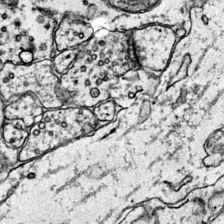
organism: Mouse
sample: Primary visual cortex